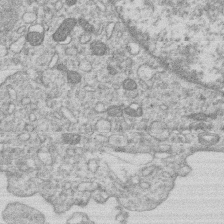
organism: Human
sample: Macrophage cells